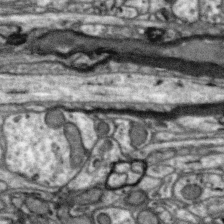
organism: Zebra finch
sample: Brain